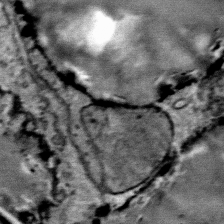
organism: Mouse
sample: Mouse Salivary gland